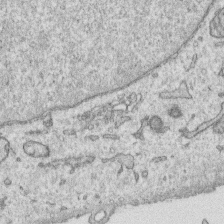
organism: Human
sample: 1205lu cells